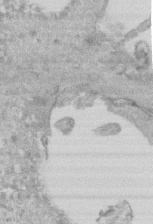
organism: Mouse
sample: Centriole in ependymal cells